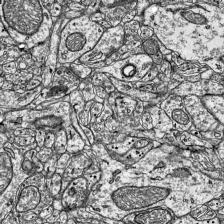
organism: Mouse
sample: Visual Cortex